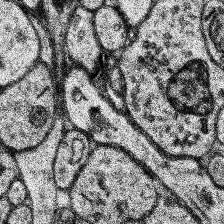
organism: Human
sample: Temporal Lobe